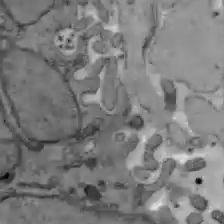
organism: C57BL Mouse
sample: Liver